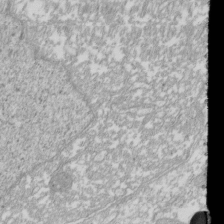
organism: Xenopus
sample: Cilia; centrioles in frog embryo cells